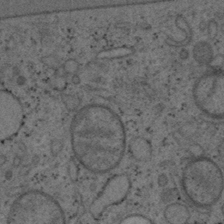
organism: Human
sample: HeLa cells